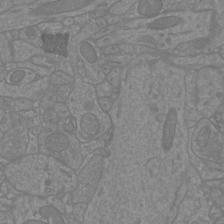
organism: Mouse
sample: Cortical neurons